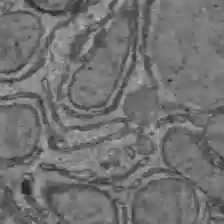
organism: C57BL Mouse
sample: Liver